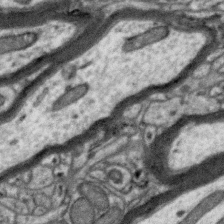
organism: Zebra finch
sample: Brain